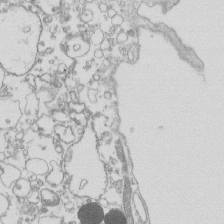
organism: Mouse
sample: Macrophages